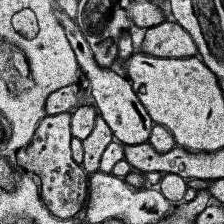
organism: Human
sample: Temporal Lobe